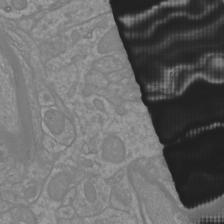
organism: Mouse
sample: Cortical neurons